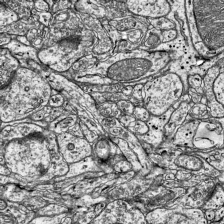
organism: Mouse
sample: Visual Cortex